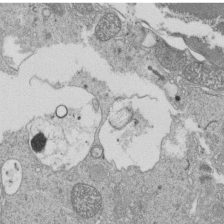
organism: Tetrahymena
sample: Cilia in tetrahymena